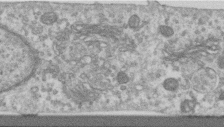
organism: Human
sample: Centriole in RPE cells